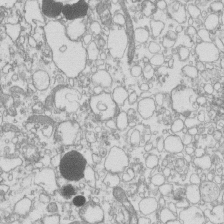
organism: Mouse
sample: Macrophages